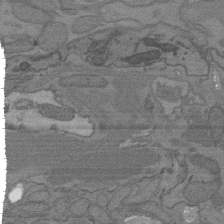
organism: C. elegans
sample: AFD neurons C. elegans